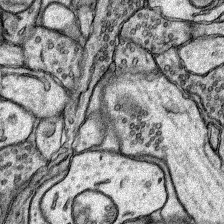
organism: Rat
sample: Hippocampus